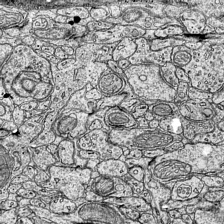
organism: Mouse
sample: Visual Cortex